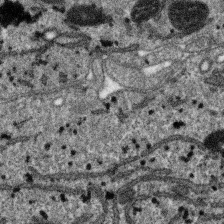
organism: Human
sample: Lung epithelial cells infected with SARS-CoV-2